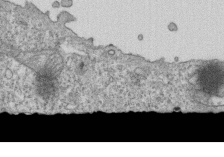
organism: Human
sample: HeLa cell HIV synapse